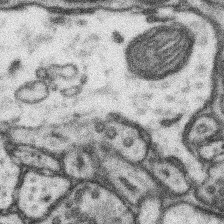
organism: Mouse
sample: Somatosensory cortex neuropil